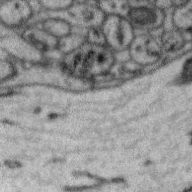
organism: Zebra finch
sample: Brain